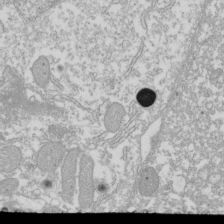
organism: Xenopus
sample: Cilia; centrioles in frog embryo cells